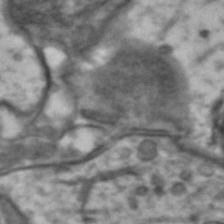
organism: Drosophila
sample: Brain